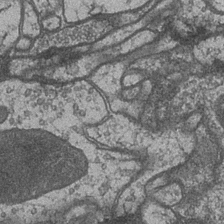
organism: Drosophila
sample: Optic medulla